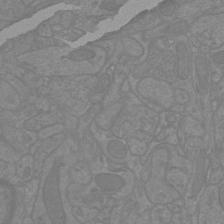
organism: Mouse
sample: Cortical neurons